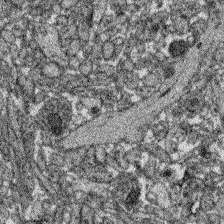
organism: Zebrafish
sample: Larval olfactory bulb